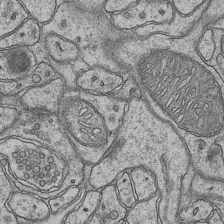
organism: Mouse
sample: CA1 Hippocampus